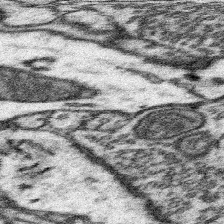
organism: Mouse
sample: Somatosensory cortex neuropil